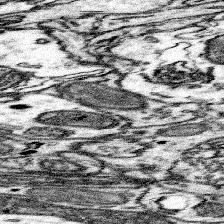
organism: Mouse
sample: Somatosensory cortex neuropil